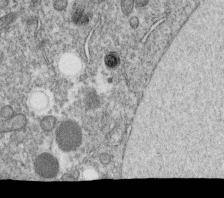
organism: C. elegans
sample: C. elegans oocyte; sperm cells